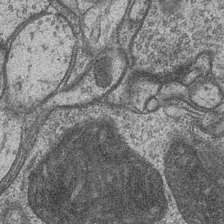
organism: Drosophila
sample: Optic medulla